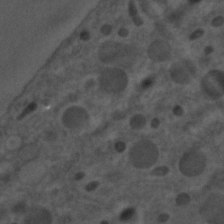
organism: C. elegans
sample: C. elegans embryo